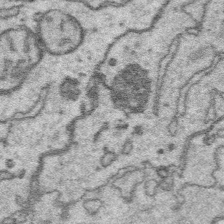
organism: Platynereis dumerilii